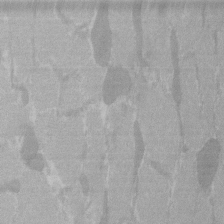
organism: C57BL Mouse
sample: Tibialis anterior muscle cell